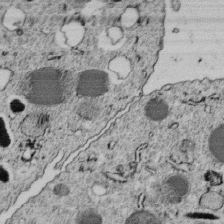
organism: C. elegans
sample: C. elegans embryo early stage